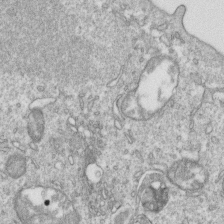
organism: Mouse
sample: Activated OT-1 CD8+ T cells